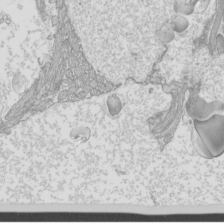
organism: Mouse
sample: Cilia; mouse epididymis